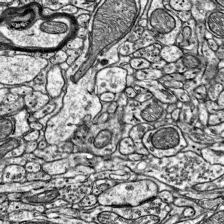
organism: Mouse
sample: Visual Cortex